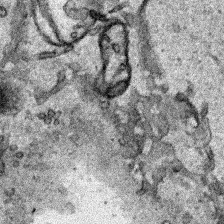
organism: Human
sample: Mitochondria in HCT116 cells